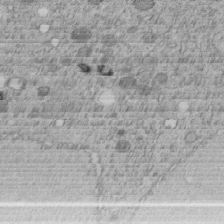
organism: C. elegans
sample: C. elegans embryo early stage